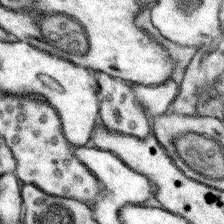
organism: Mouse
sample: Somatosensory cortex neuropil